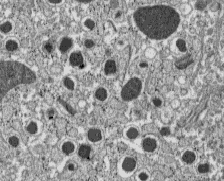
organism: C57BL Mouse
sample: Pancreatic islet